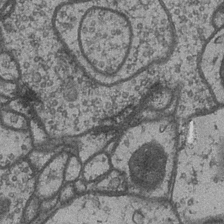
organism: Drosophila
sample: Optic medulla